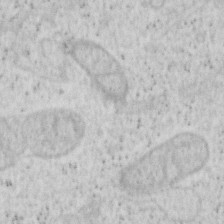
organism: Human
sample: HeLa cells